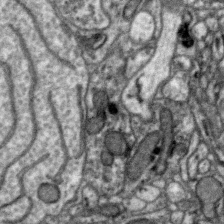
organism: Zebra finch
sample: Brain